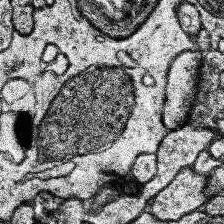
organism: Human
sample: Temporal Lobe